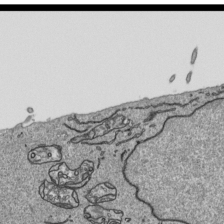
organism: Human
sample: Mitochondria in HCT116 cells